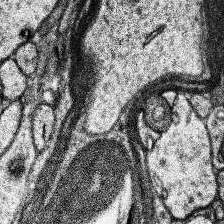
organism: Human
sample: Temporal Lobe